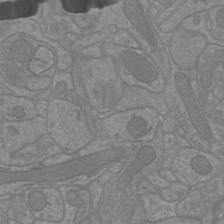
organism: Mouse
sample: Cortical neurons